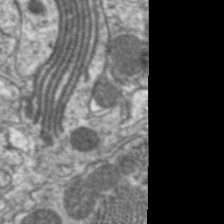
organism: C. elegans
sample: Pharynx